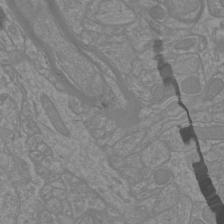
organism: Mouse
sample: Cortical neurons